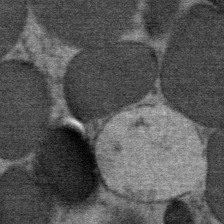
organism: Mouse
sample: Mouse Salivary gland